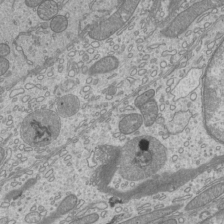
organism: Mouse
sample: Cilia; mouse epididymis